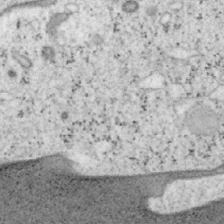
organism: Mouse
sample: OT-I killer T cells with ID8 ovarian cancer cells